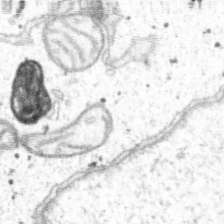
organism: Human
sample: HeLa cells